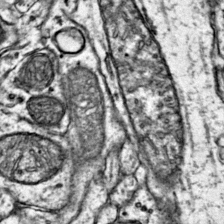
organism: Mouse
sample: Primary visual cortex